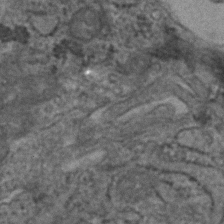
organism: Human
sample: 1205lu cells